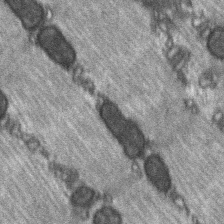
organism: C57BL Mouse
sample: Soleus